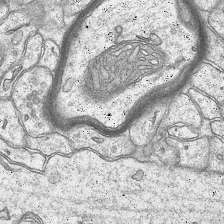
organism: Mouse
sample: CA1 Hippocampus